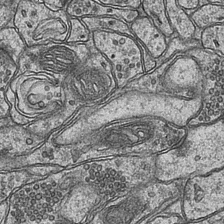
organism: Mouse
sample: CA1 Hippocampus